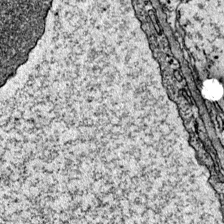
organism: Mouse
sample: Primary visual cortex